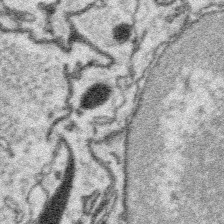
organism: Platynereis dumerilii